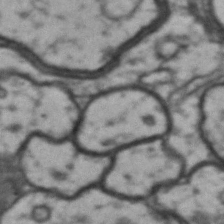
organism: Drosophila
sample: Brain